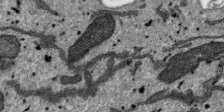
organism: Human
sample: Lung epithelial cells, uninfected (mock) control